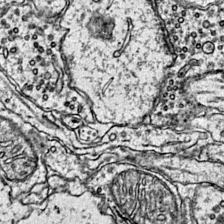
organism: Mouse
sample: Primary visual cortex